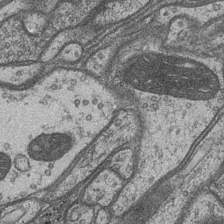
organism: Drosophila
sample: Optic medulla